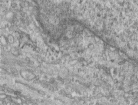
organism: Human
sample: Centriole in RPE cells